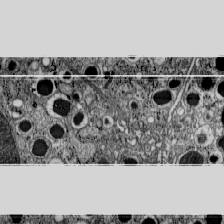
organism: C57BL Mouse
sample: Pancreatic islet